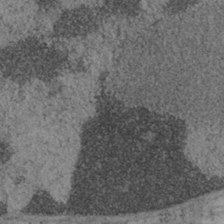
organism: Mouse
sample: OT-I killer T cells with ID8 ovarian cancer cells